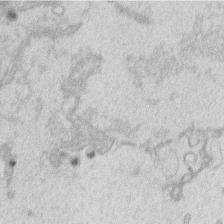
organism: Human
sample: Macrophage cells